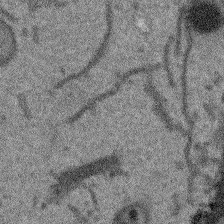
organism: Arabidopsis thaliana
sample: Root tip